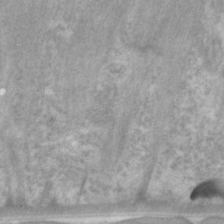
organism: C. elegans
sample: Pharynx